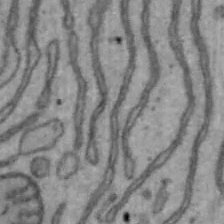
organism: Mouse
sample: Liver